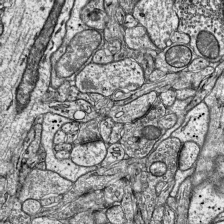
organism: Mouse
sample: Visual Cortex